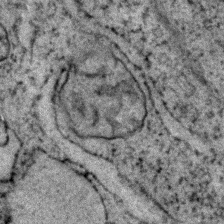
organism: Zebrafish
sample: Zebrafish embryo